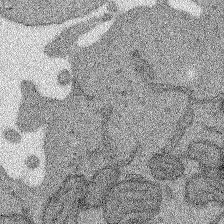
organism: Human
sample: HeLa cells